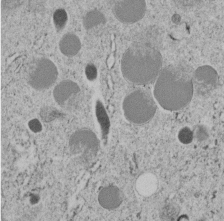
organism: C. elegans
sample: C. elegans embryo early stage